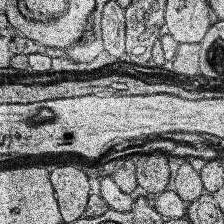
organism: Human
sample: Temporal Lobe